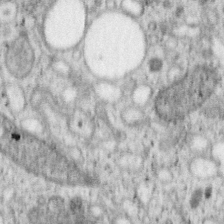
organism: Mouse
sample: OT-I killer T cells with ID8 ovarian cancer cells